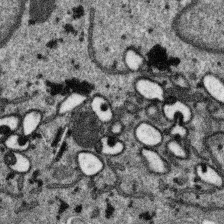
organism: Human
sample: Lung epithelial cells infected with SARS-CoV-2